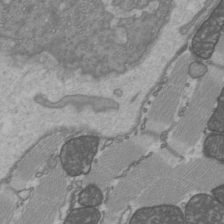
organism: C57BL Mouse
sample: Heart